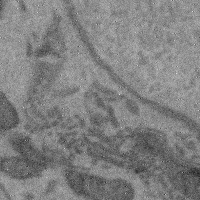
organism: Mouse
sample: Cerebral cortex